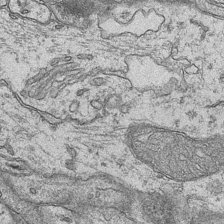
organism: Mouse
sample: CA1 Hippocampus